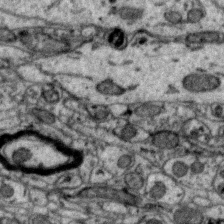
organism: Zebra finch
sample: Brain